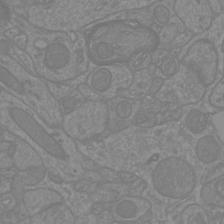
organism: Mouse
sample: Cortical neurons